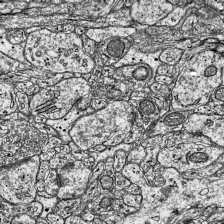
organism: Mouse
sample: Visual Cortex